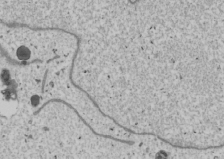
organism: Human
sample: Mitochondria in U2OS cells